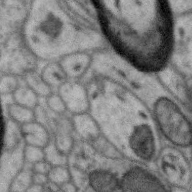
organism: Zebra finch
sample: Brain